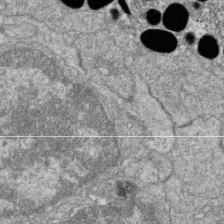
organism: Zebrafish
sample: Cilia; retinal pigment epithelium